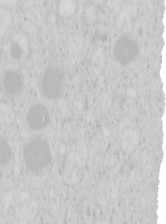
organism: Mouse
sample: Pancreas